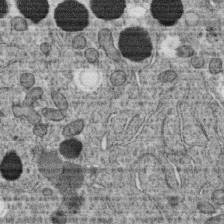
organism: C. elegans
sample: C. elegans oocyte; sperm cells